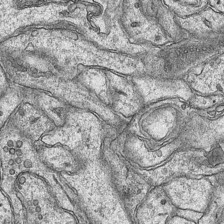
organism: Mouse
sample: CA1 Hippocampus